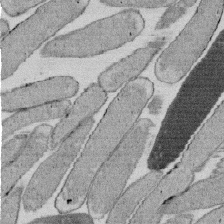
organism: E. coli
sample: Bacterial nucleoid